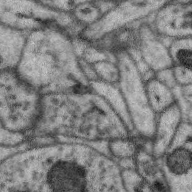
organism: Zebra finch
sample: Brain